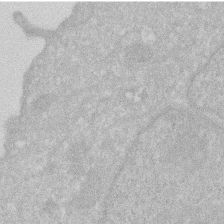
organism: Human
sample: HIV infected U937 cells